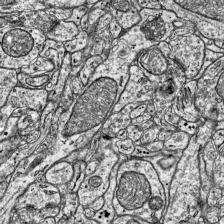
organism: Mouse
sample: Visual Cortex